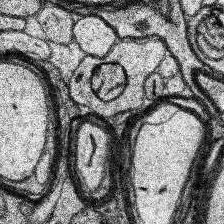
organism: Human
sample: Temporal Lobe